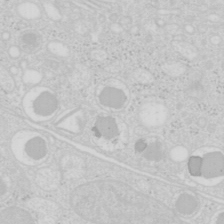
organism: Mouse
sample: Pancreas